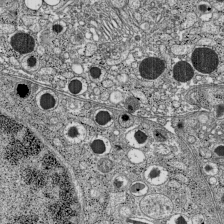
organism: C57BL Mouse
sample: Pancreatic islet